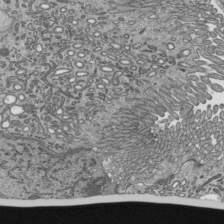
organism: Mouse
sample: Mouse epididymis efferent ductule cilia